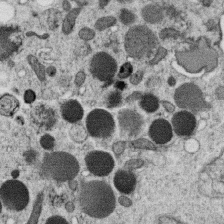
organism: C. elegans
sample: C. elegans oocyte; sperm cells